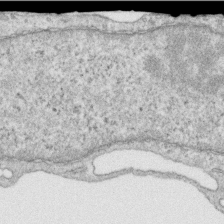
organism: Human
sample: Centriole in RPE cells